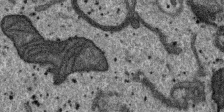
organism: Human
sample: Lung epithelial cells, uninfected (mock) control